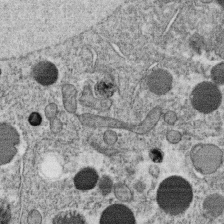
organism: C. elegans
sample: C. elegans oocyte; sperm cells